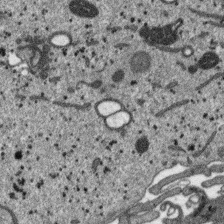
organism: Human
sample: Lung epithelial cells infected with SARS-CoV-2